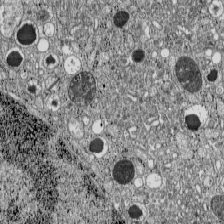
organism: C57BL Mouse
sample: Pancreatic islet